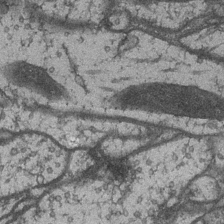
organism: Drosophila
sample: Optic medulla